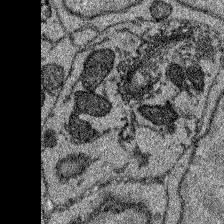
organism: Zebrafish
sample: Larval olfactory bulb